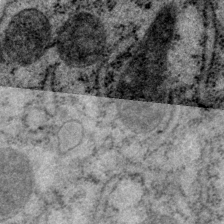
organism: P. pacificus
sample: Pharynx